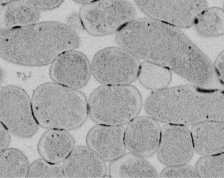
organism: E. coli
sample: Bacterial nucleoid